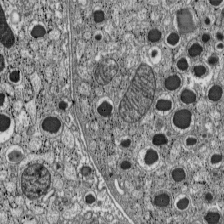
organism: C57BL Mouse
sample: Pancreatic islet